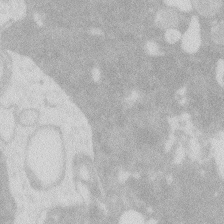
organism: Zebrafish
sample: Macrophage